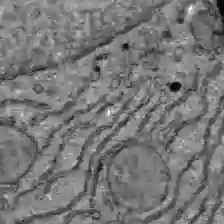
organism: C57BL Mouse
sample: Liver